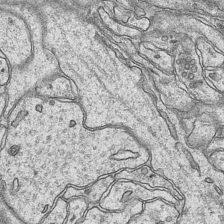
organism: Mouse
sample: CA1 Hippocampus